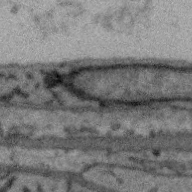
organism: Zebra finch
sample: Brain